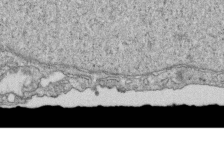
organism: Human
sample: HeLa cell HIV synapse